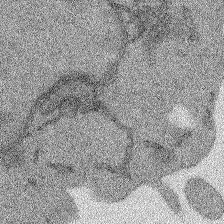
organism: Human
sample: HeLa cells